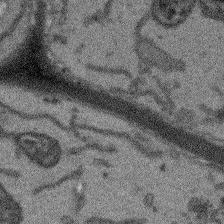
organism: Arabidopsis thaliana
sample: Root tip